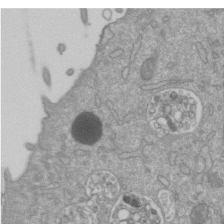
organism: Mouse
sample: ED-1 cell nuclei; centrioles